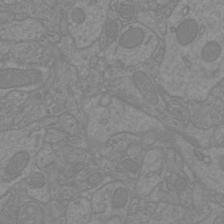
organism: Mouse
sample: Cortical neurons